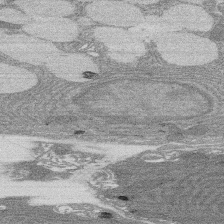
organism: Rat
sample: Salivary granule